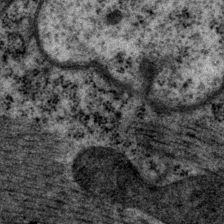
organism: P. pacificus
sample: Pharynx